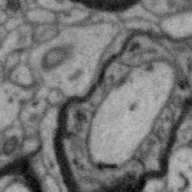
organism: Zebra finch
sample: Brain